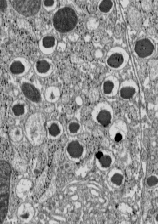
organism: C57BL Mouse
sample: Pancreatic islet